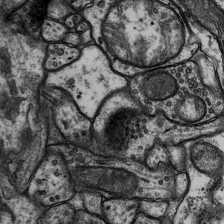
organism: Rat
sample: Hippocampus